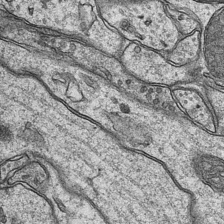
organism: Mouse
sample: CA1 Hippocampus